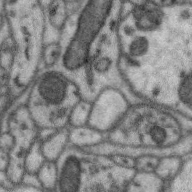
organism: Zebra finch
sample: Brain